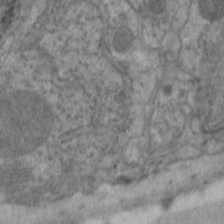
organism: C. elegans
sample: Pharynx